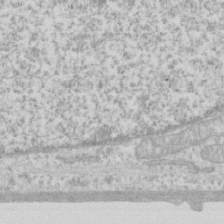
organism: Human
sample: Fibroblast cells